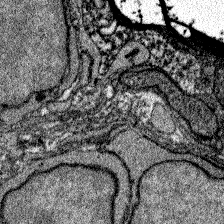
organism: Zebrafish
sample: Larval olfactory bulb